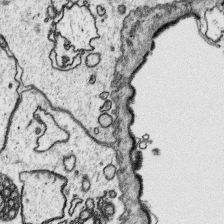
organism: Platynereis dumerilii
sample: Parapodia